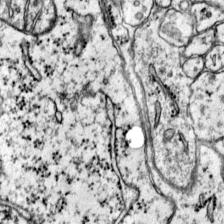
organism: Mouse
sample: Primary visual cortex